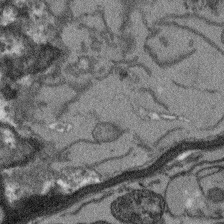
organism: Arabidopsis thaliana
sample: Root tip